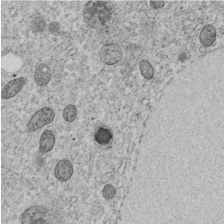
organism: C. elegans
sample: C. elegans embryo early stage